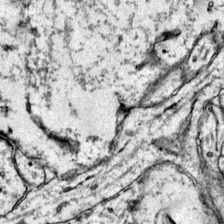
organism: Mouse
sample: Primary visual cortex